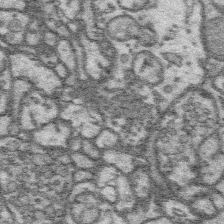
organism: Platynereis dumerilii